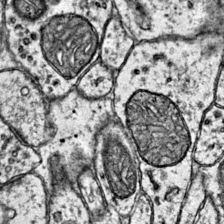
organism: Mouse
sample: Primary visual cortex